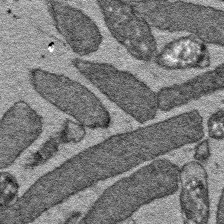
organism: E. coli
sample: E. Coli Bacteria